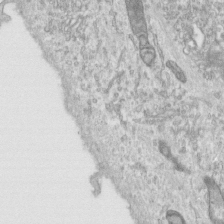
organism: Human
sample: Centriole in RPE cells